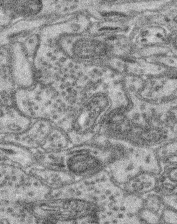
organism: Mouse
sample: Retina